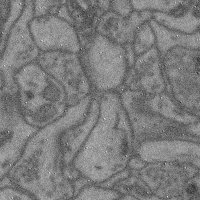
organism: Mouse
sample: Cerebral cortex